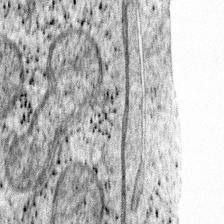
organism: Human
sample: HeLa cells